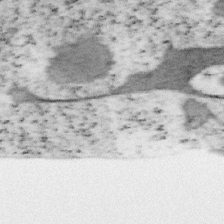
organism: Mouse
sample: OT-I killer T cells with ID8 ovarian cancer cells